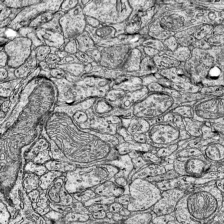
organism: Mouse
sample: Visual Cortex